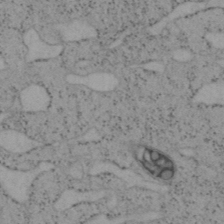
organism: Mouse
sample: OT-I killer T cells with ID8 ovarian cancer cells